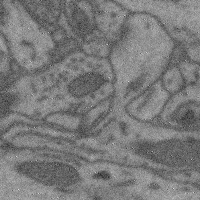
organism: Mouse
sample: Cerebral cortex